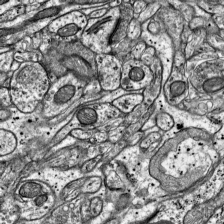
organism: Mouse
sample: Visual Cortex